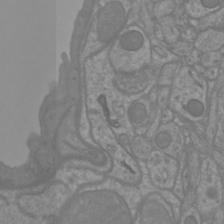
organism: Mouse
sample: Cortical neurons